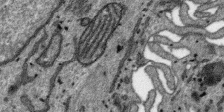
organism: Human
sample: Lung epithelial cells, uninfected (mock) control